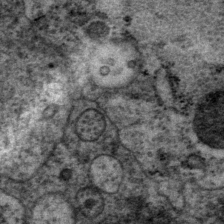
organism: P. pacificus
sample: Pharynx